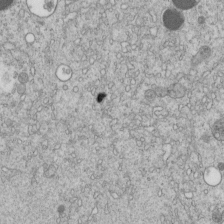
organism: C. elegans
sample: C. elegans embryo early stage